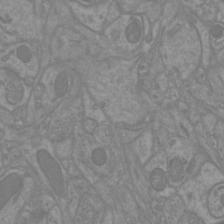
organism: Mouse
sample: Cortical neurons